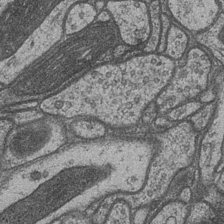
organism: Drosophila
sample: Optic medulla